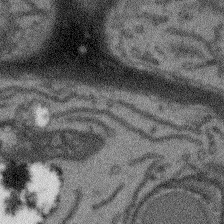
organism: Arabidopsis thaliana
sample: Root tip